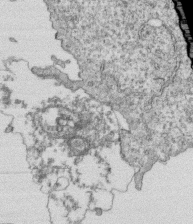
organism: Human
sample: HeLa cell HIV synapse